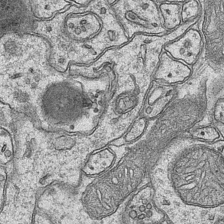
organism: Mouse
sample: CA1 Hippocampus